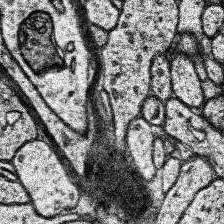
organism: Human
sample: Temporal Lobe